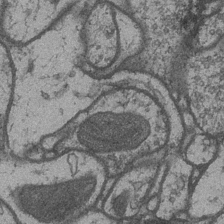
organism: Drosophila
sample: Optic medulla